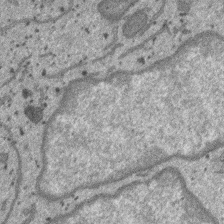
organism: Human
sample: Lung epithelial cells infected with SARS-CoV-2